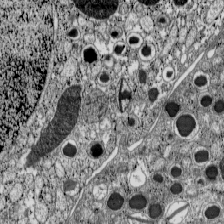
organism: C57BL Mouse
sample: Pancreatic islet